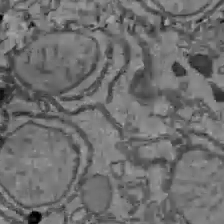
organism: C57BL Mouse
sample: Liver